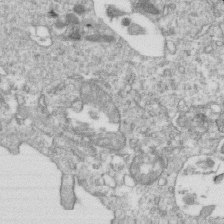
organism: Mouse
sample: Activated OT-1 CD8+ T cells